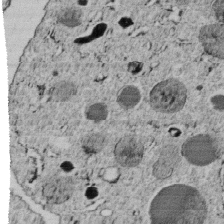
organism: C. elegans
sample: C. elegans embryo early stage